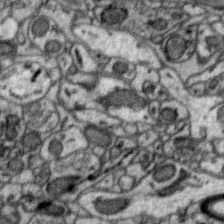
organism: Zebra finch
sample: Brain